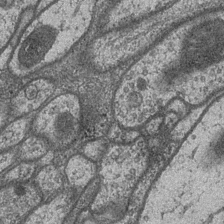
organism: Drosophila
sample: Optic medulla